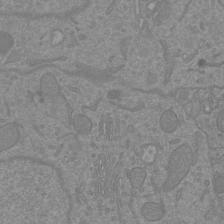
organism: Mouse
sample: Cortical neurons